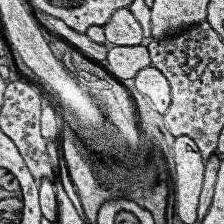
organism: Human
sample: Temporal Lobe